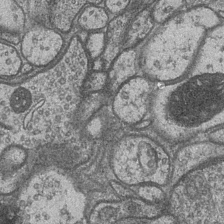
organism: Drosophila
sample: Optic medulla